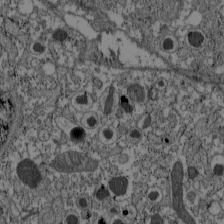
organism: C57BL Mouse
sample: Pancreatic islet